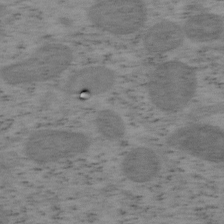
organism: Mouse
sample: OT-I killer T cells with ID8 ovarian cancer cells